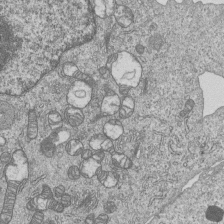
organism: Human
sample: MDA-MB-231 cells